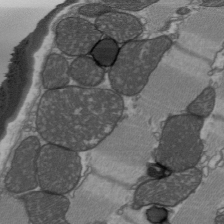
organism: C57BL Mouse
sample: Heart